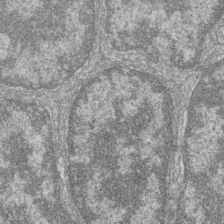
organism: Zebrafish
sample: Cilia; retinal pigment epithelium